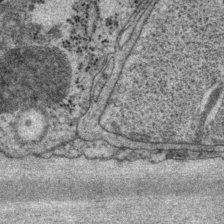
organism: P. pacificus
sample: Pharynx